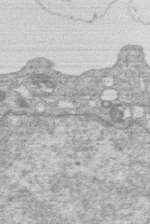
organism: Human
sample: Macrophage cells